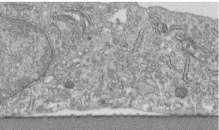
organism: Human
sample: Centriole in fibroblast cells